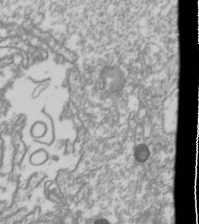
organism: Drosophila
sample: Cell division; meiosis; drosophila spermatocytes